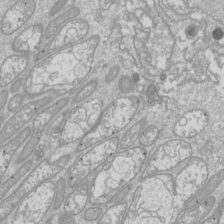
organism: Drosophila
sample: Cell division; meiosis; drosophila spermatocytes